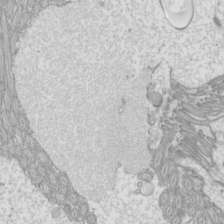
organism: Mouse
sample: Cilia; mouse epididymis